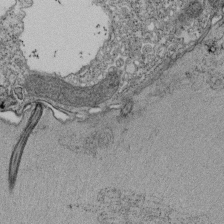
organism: Tetrahymena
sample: Cilia in tetrahymena